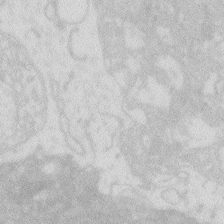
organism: Zebrafish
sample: Macrophage